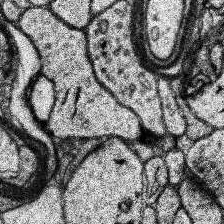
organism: Human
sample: Temporal Lobe